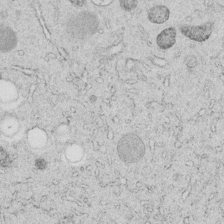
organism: C. elegans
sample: C. elegans embryo early stage